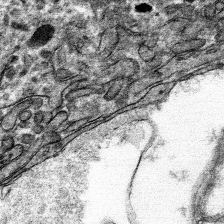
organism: Mouse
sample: Mouse hepatocytes